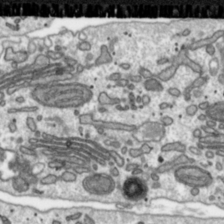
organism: Toxoplasma gondii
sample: Parasites in a vacuole inside a host cell